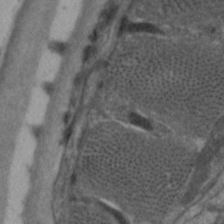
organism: C. elegans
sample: Pharynx